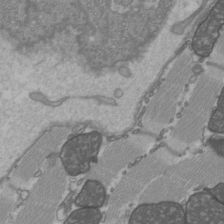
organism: C57BL Mouse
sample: Heart